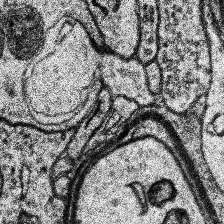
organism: Human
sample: Temporal Lobe